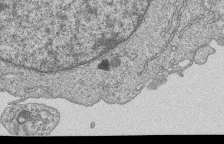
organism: Human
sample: MDA-MB-231 cells